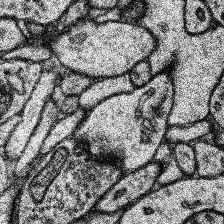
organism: Human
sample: Temporal Lobe